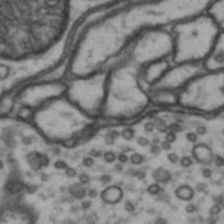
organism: Drosophila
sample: Brain